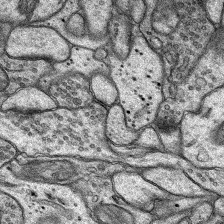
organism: Rat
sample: Hippocampus